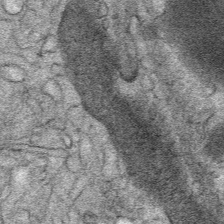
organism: Mouse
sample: Mouse Salivary gland